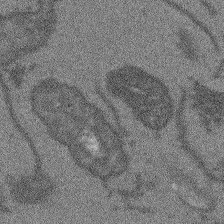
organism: Arabidopsis thaliana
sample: Root tip